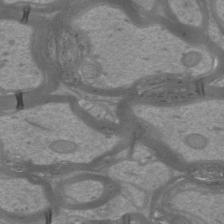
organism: Mouse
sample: Cortical neurons